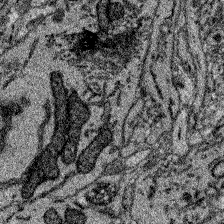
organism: Zebrafish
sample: Larval olfactory bulb